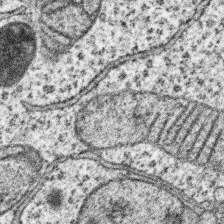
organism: Human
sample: HeLa cells